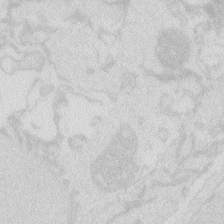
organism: Zebrafish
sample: Macrophage